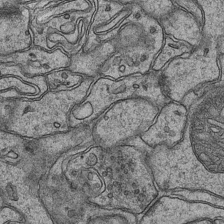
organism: Mouse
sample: CA1 Hippocampus